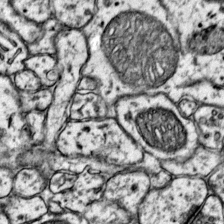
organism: Mouse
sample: Primary visual cortex